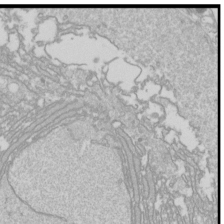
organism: Drosophila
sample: Cell division; meiosis; drosophila spermatocytes